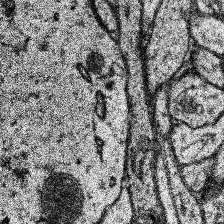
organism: Human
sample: Temporal Lobe